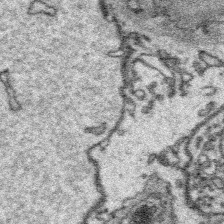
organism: Platynereis dumerilii